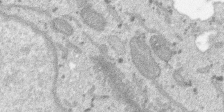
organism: Human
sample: Lung epithelial cells infected with SARS-CoV-2